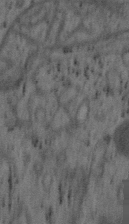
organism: Human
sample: HeLa cells